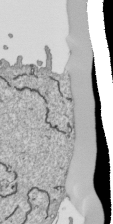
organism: Human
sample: Mitochondria in HCT116 cells